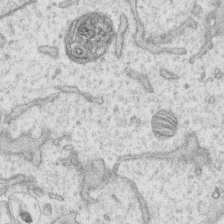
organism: Human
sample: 1205lu cells